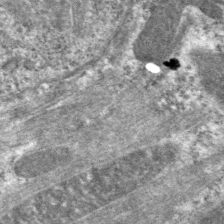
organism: C. elegans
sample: Pharynx